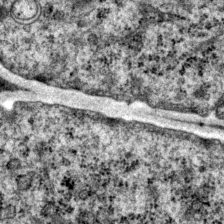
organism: P. pacificus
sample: Pharynx